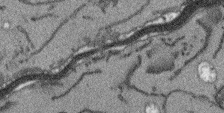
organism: Arabidopsis thaliana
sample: Root tip